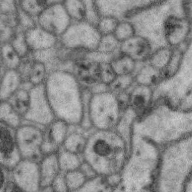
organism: Zebra finch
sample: Brain